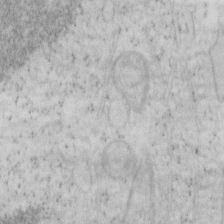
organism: Human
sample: HeLa cells